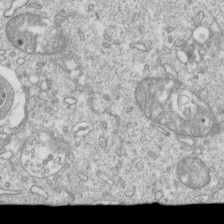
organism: Mouse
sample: Activated OT-1 CD8+ T cells